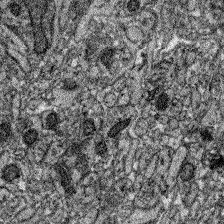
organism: Zebrafish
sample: Larval olfactory bulb